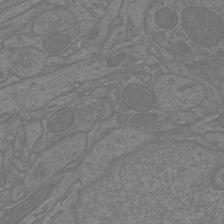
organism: Mouse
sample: Cortical neurons